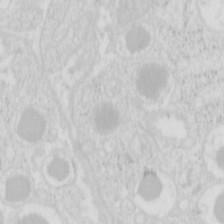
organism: Mouse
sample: Pancreas